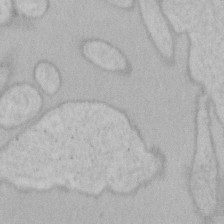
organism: Human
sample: HeLa cells